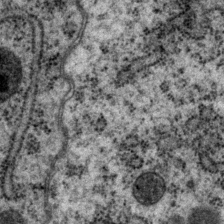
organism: P. pacificus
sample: Pharynx